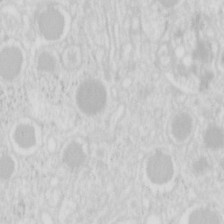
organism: Mouse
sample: Pancreas